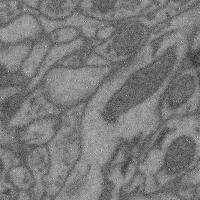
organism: Mouse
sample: Cerebral cortex